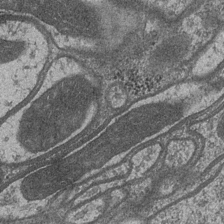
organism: Drosophila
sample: Optic medulla